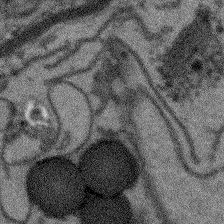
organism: Arabidopsis thaliana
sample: Root tip